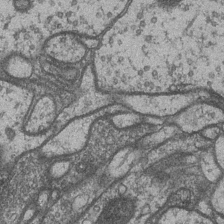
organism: Drosophila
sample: Optic medulla